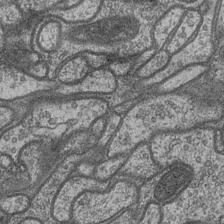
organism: Drosophila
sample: Optic medulla